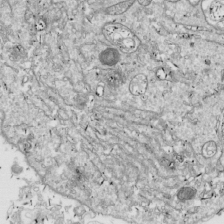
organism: Drosophila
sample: Cell division; meiosis; drosophila spermatocytes